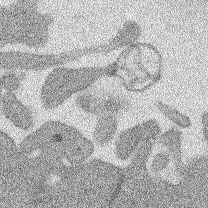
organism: Human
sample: HeLa cells